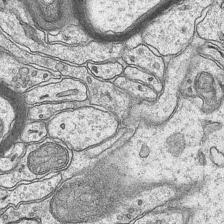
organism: Mouse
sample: CA1 Hippocampus